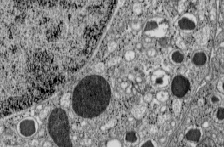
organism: C57BL Mouse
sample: Pancreatic islet